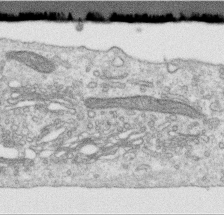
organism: Human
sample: Centriole in RPE cells